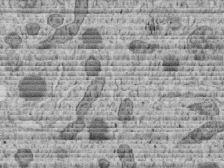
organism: C. elegans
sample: C. elegans embryo early stage